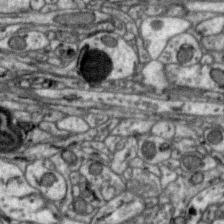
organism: Zebra finch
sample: Brain